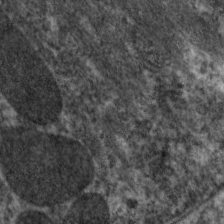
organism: C. elegans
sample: Pharynx